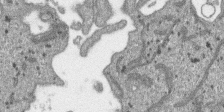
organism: Human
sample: Lung epithelial cells infected with SARS-CoV-2